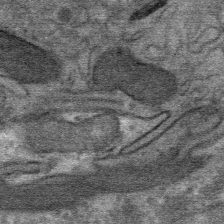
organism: Mouse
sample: Mouse Salivary gland